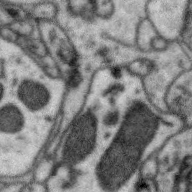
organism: Zebra finch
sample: Brain